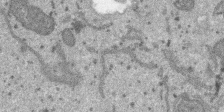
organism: Human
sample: Lung epithelial cells infected with SARS-CoV-2